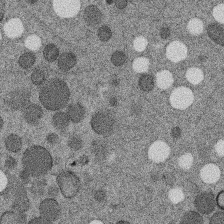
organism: C. elegans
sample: C. elegans embryo early stage